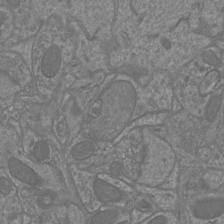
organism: Mouse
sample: Cortical neurons